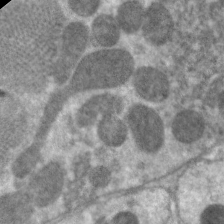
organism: C. elegans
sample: Pharynx